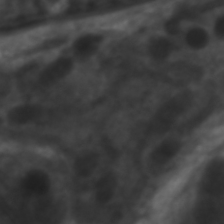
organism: C. elegans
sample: Pharynx